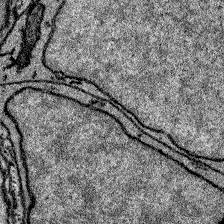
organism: Zebrafish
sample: Larval olfactory bulb